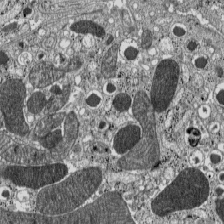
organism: C57BL Mouse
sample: Pancreatic islet